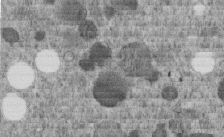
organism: C. elegans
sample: C. elegans embryo early stage